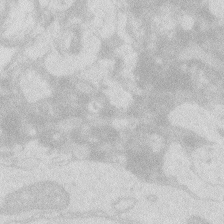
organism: Zebrafish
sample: Macrophage